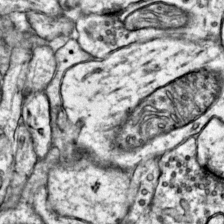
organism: Mouse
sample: Primary visual cortex